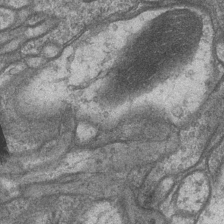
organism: Drosophila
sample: Optic medulla